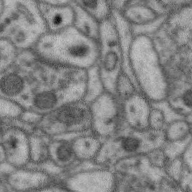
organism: Zebra finch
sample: Brain